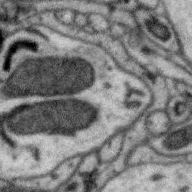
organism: Zebra finch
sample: Brain